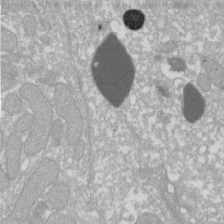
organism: Xenopus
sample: Cilia; centrioles in frog embryo cells